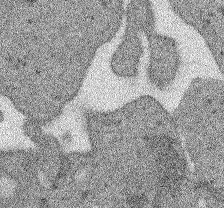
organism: Human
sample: HeLa cells